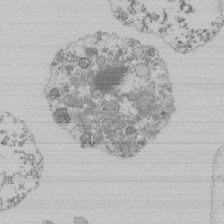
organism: Mouse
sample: Activated Pmel transgenic CD8+ T Cells